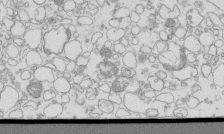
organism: Mouse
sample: Macrophages